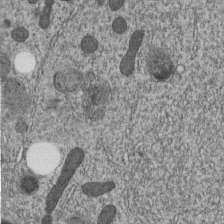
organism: C. elegans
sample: C. elegans embryo early stage